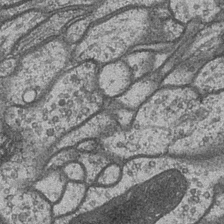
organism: Drosophila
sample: Optic medulla